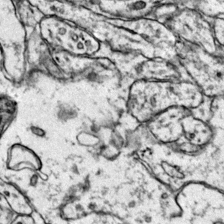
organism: Mouse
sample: Primary visual cortex